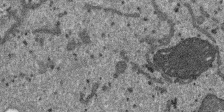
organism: Human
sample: Lung epithelial cells infected with SARS-CoV-2